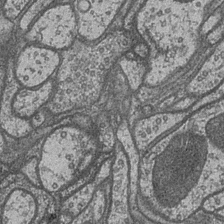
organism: Drosophila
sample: Optic medulla